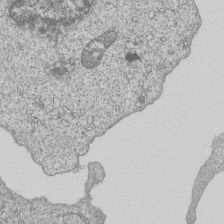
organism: Human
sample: MDA-MB-231 cells